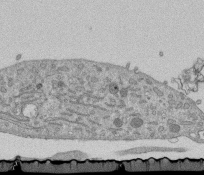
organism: Mouse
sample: ED-1 cell nuclei; centrioles